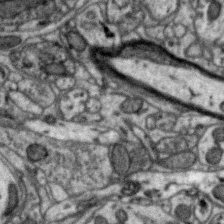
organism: Zebra finch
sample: Brain